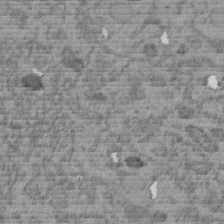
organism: C. elegans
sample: C. elegans embryo early stage